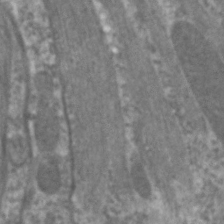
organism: C. elegans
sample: Pharynx